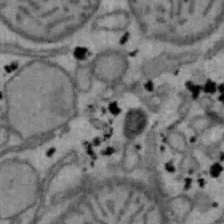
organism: Mouse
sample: Liver